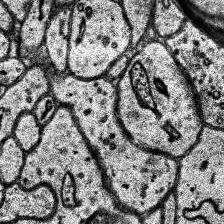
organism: Human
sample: Temporal Lobe